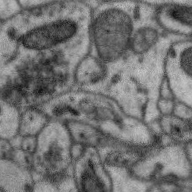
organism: Zebra finch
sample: Brain